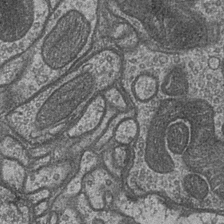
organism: Drosophila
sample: Optic medulla